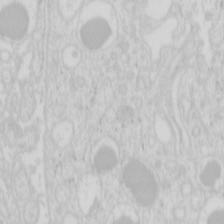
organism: Mouse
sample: Pancreas